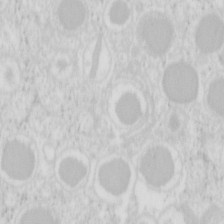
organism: Mouse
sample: Pancreas